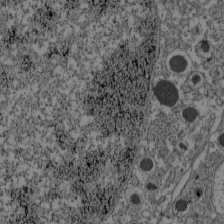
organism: C57BL Mouse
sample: Pancreatic islet